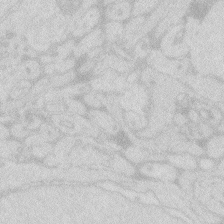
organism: Zebrafish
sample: Macrophage